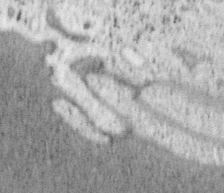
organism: Mouse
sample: OT-I killer T cells with ID8 ovarian cancer cells